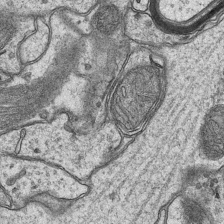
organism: Mouse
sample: CA1 Hippocampus